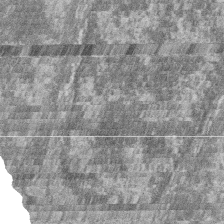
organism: Zebrafish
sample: Cilia; retinal pigment epithelium